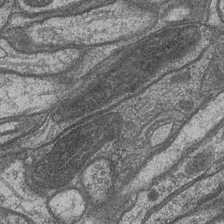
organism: Drosophila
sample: Optic medulla